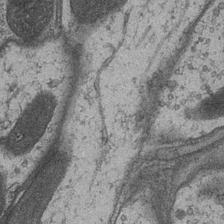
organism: Drosophila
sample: Optic medulla